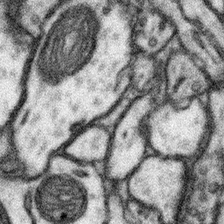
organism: Mouse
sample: Somatosensory cortex neuropil